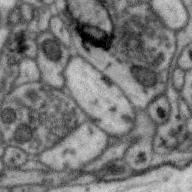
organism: Zebra finch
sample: Brain